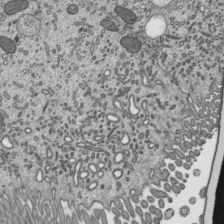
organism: Mouse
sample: Mouse epididymis efferent ductule cilia